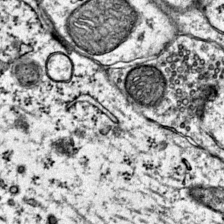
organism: Mouse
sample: Primary visual cortex